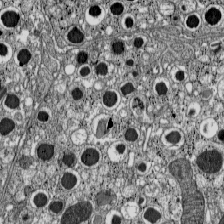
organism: C57BL Mouse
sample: Pancreatic islet